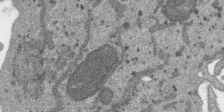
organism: Human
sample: Lung epithelial cells infected with SARS-CoV-2